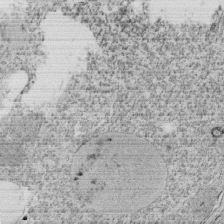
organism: Tetrahymena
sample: Cilia in tetrahymena